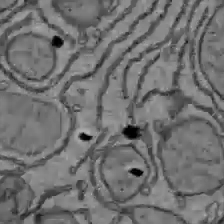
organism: C57BL Mouse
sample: Liver